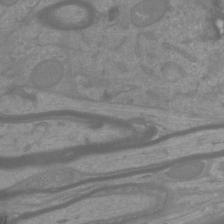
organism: Mouse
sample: Cortical neurons